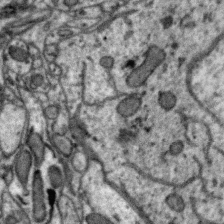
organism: Zebra finch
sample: Brain